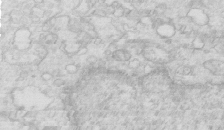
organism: Mouse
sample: Multiciliated cells